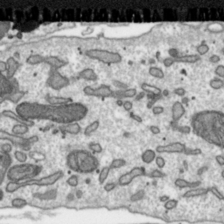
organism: Toxoplasma gondii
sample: Parasites in a vacuole inside a host cell